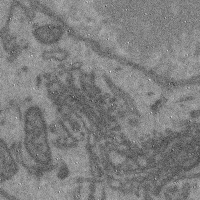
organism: Mouse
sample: Cerebral cortex